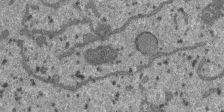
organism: Human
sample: Lung epithelial cells infected with SARS-CoV-2